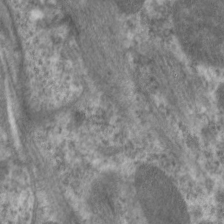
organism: C. elegans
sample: Pharynx